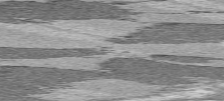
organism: C57BL Mouse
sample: Heart